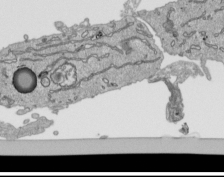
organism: Human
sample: Mitochondria in HCT116 cells